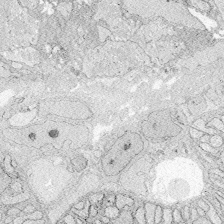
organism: Zebrafish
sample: Whole-Brain